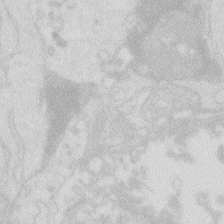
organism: Zebrafish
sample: Macrophage